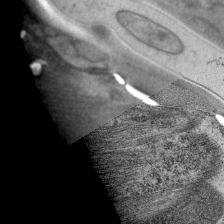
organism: C. elegans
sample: Pharynx